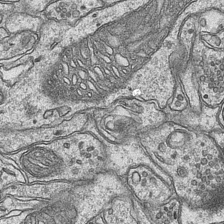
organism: Mouse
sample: CA1 Hippocampus